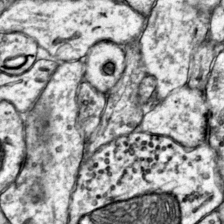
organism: Mouse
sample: Primary visual cortex